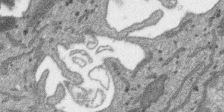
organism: Human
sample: Lung epithelial cells infected with SARS-CoV-2